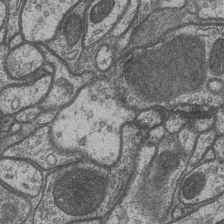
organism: Drosophila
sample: Optic medulla